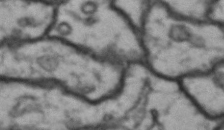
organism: Drosophila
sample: Brain